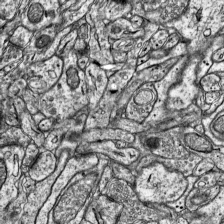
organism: Mouse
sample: Visual Cortex